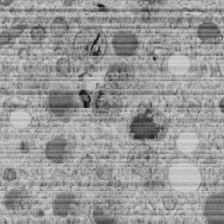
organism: C. elegans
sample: C. elegans embryo early stage